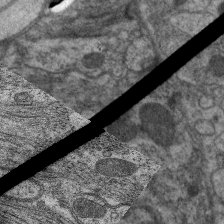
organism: C. elegans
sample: Pharynx